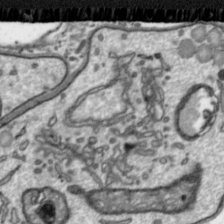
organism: Toxoplasma gondii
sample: Parasites in a vacuole inside a host cell